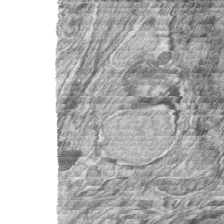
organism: Zebrafish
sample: synaptic ribbons in rod cells and cone cells